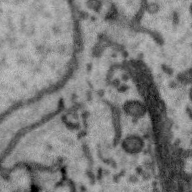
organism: Zebra finch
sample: Brain